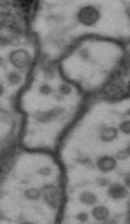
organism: Drosophila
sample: Brain